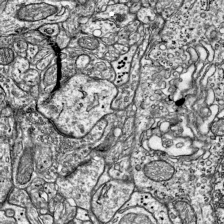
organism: Mouse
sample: Visual Cortex